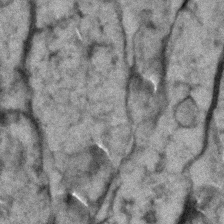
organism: Zebrafish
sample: Zebrafish embryo